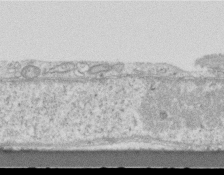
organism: Mouse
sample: Centriole in ependymal cells